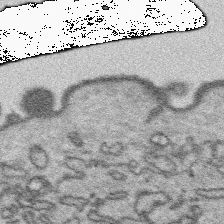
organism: Platynereis dumerilii